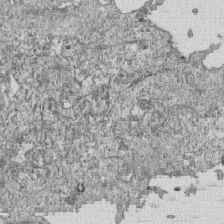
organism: Human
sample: HeLa cell HIV synapse